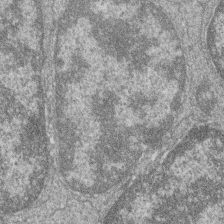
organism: Zebrafish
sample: Cilia; retinal pigment epithelium